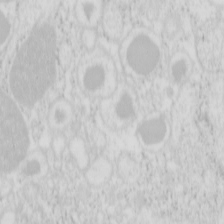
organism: Mouse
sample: Pancreas